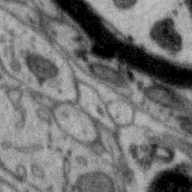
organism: Zebra finch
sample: Brain